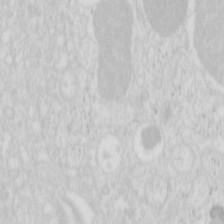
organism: Mouse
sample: Pancreas